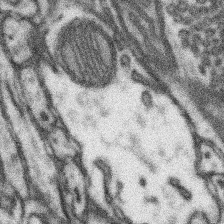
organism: Mouse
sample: Somatosensory cortex neuropil